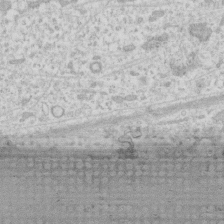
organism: Human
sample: Fibroblast cells